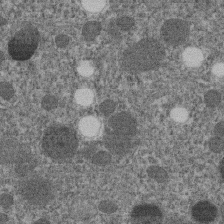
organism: C. elegans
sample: C. elegans embryo early stage